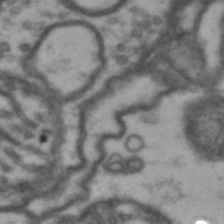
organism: Drosophila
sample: Brain